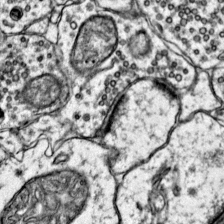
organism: Mouse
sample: Primary visual cortex